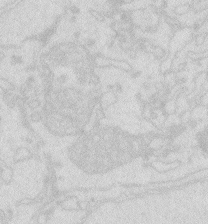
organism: Zebrafish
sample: Macrophage